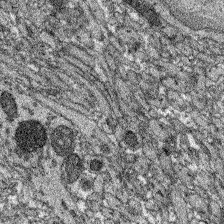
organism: Zebrafish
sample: Larval olfactory bulb